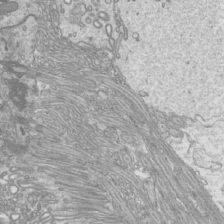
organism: Mouse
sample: Cilia; mouse epididymis